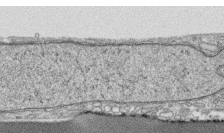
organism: Human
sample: CRL-1474